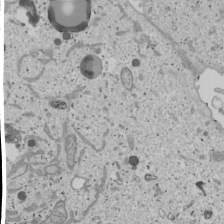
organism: Human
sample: Mitochondria in U2OS cells